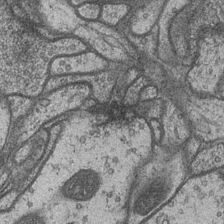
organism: Drosophila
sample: Optic medulla